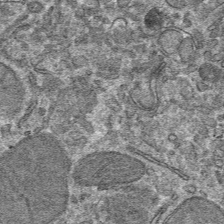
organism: Mouse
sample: Mouse hepatocytes